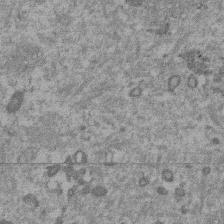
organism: Mouse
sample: Dividing mouse embryo 1 cell stage